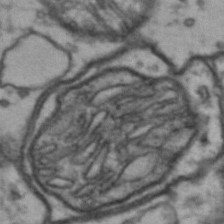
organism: Drosophila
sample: Brain